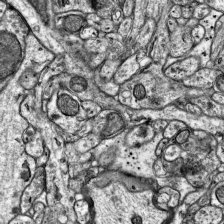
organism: Mouse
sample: Visual Cortex